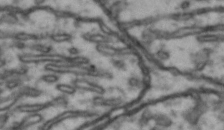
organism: Drosophila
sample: Brain